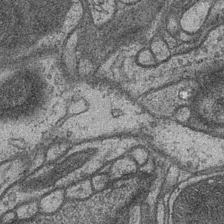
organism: Drosophila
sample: Optic medulla